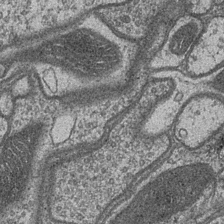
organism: Drosophila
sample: Optic medulla